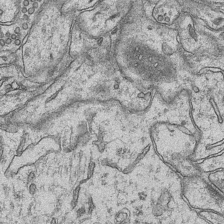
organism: Mouse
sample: CA1 Hippocampus